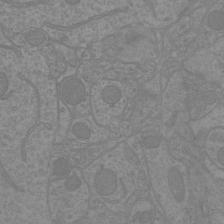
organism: Mouse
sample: Cortical neurons